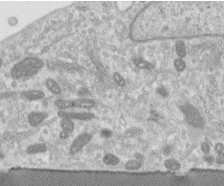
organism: Human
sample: Centriole in RPE cells